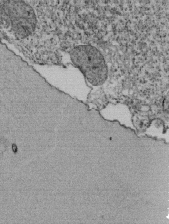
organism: Tetrahymena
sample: Cilia in tetrahymena